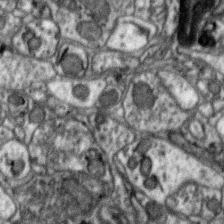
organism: Zebra finch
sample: Brain